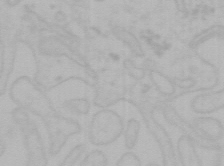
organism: Mouse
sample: Choroid plexus